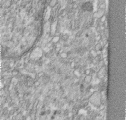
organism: Human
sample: Centriole in RPE cells